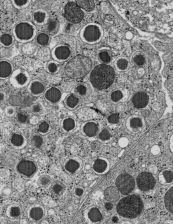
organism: C57BL Mouse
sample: Pancreatic islet